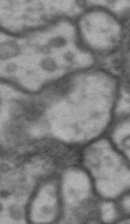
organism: Drosophila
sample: Brain